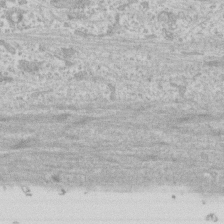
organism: Human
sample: CRL-1474